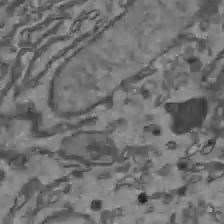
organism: C57BL Mouse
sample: Liver